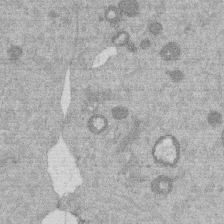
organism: Mouse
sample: Dividing mouse embryo 1 cell stage